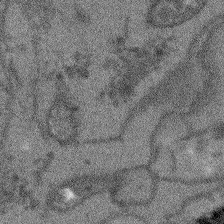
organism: Arabidopsis thaliana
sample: Root tip